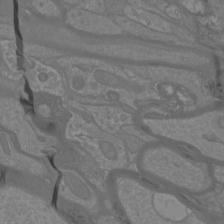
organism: Mouse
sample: Cortical neurons